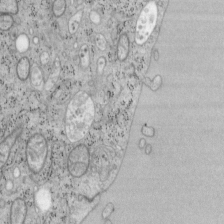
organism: Mouse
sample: OT-I killer T cells with ID8 ovarian cancer cells